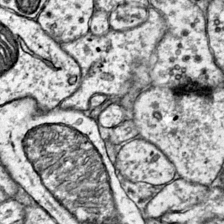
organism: Mouse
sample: Primary visual cortex